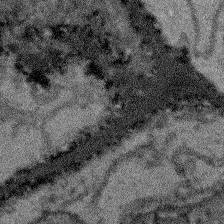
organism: Arabidopsis thaliana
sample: Root tip